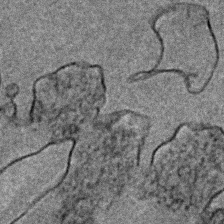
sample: Trachea